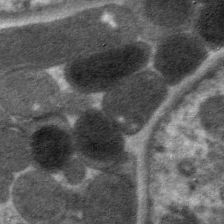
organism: C. elegans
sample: Pharynx